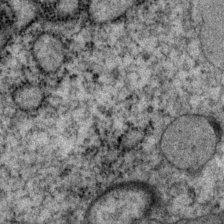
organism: P. pacificus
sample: Pharynx